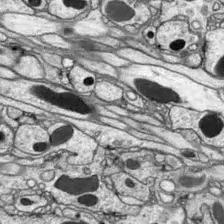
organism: Drosophila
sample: Optic lobe